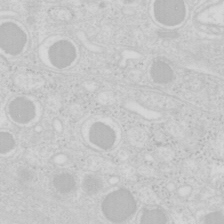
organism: Mouse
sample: Pancreas